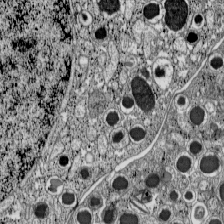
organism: C57BL Mouse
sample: Pancreatic islet